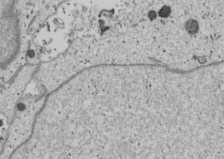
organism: Human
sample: Mitochondria in U2OS cells